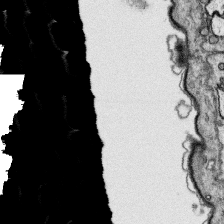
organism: Platynereis dumerilii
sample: Parapodia